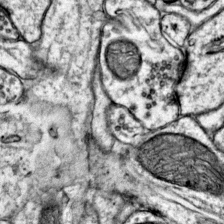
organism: Mouse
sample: Primary visual cortex